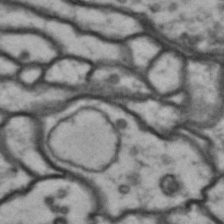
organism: Drosophila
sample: Brain